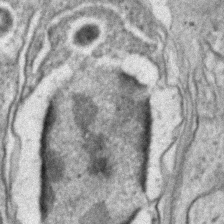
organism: C. elegans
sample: C. elegans embryo